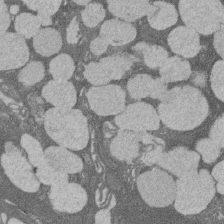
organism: Rat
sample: Salivary granule